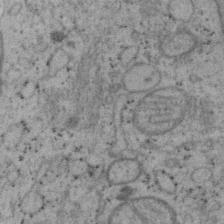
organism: Human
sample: HeLa cells